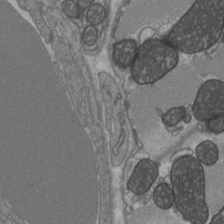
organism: C57BL Mouse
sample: Heart